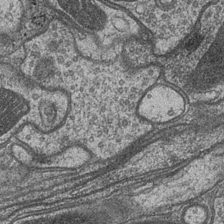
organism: Drosophila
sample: Optic medulla